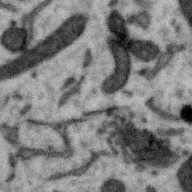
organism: Zebra finch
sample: Brain